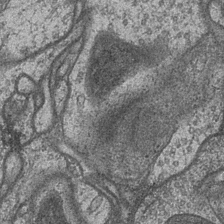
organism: Drosophila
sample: Optic medulla